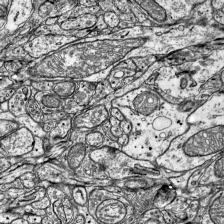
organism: Mouse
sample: Visual Cortex